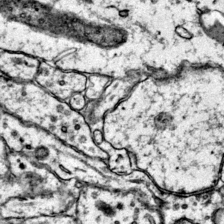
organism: Mouse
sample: Primary visual cortex